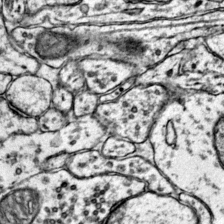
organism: Mouse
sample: Primary visual cortex